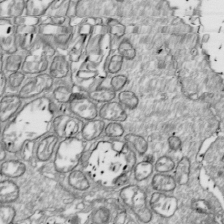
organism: Drosophila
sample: Cell division; meiosis; drosophila spermatocytes